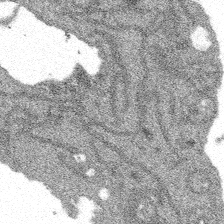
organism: Spongilla lacustris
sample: Multiple